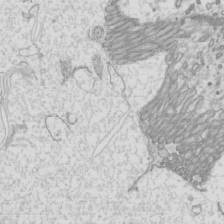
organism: Mouse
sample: Cilia; mouse epididymis